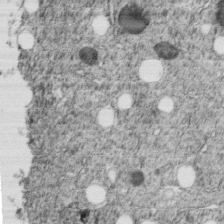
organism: C. elegans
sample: C. elegans embryo early stage